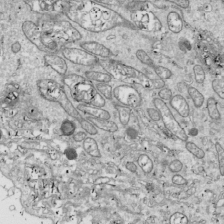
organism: Drosophila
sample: Cell division; meiosis; drosophila spermatocytes